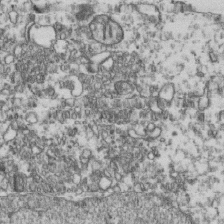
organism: Human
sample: Activated Jurkat CD4+ T cells